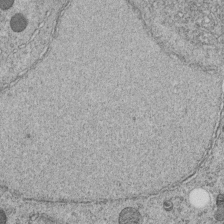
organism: C. elegans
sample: C. elegans embryo early stage